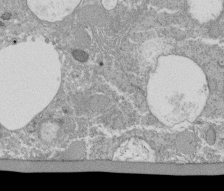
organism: Tetrahymena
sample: Cilia in tetrahymena